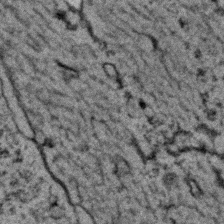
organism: C. elegans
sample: C. elegans embryo